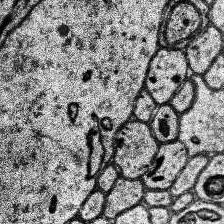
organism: Human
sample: Temporal Lobe